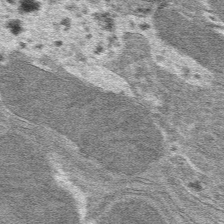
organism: Mouse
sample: Mouse hepatocytes